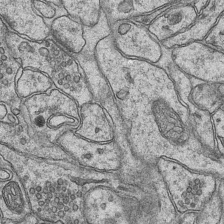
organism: Mouse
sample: CA1 Hippocampus